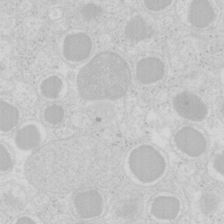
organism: Mouse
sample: Pancreas